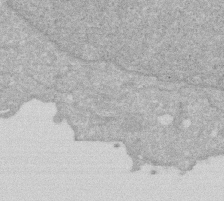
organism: Human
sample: HIV infected U937 cells